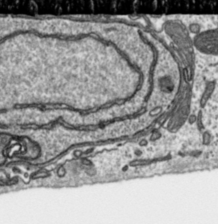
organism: Toxoplasma gondii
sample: Parasites in a vacuole inside a host cell